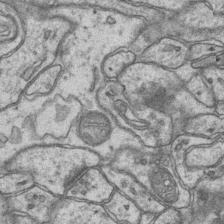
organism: Mouse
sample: CA1 Hippocampus